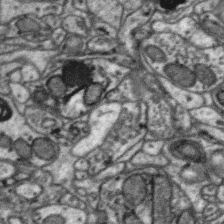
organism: Zebra finch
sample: Brain